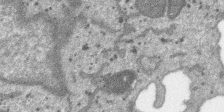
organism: Human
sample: Lung epithelial cells infected with SARS-CoV-2